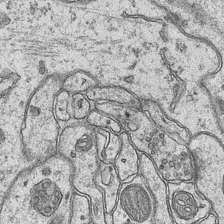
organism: Mouse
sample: CA1 Hippocampus